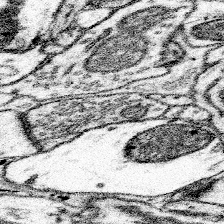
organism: Mouse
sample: Somatosensory cortex neuropil